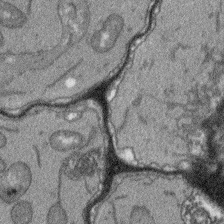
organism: Arabidopsis thaliana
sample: Root tip